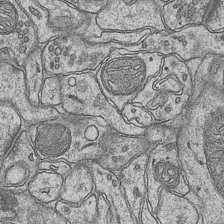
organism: Mouse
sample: CA1 Hippocampus